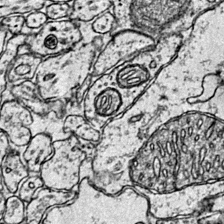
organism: Mouse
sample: Primary visual cortex